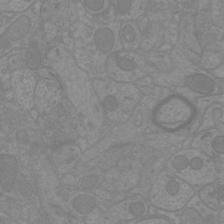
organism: Mouse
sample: Cortical neurons